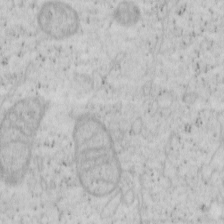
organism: Human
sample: HeLa cells